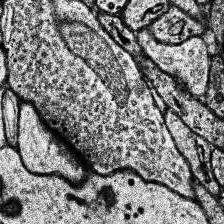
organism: Human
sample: Temporal Lobe